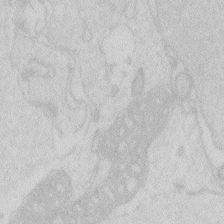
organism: Zebrafish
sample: Macrophage